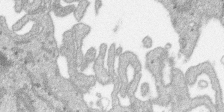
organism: Human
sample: Lung epithelial cells infected with SARS-CoV-2